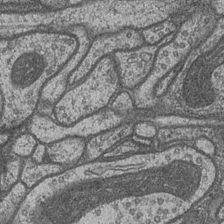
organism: Drosophila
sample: Optic medulla